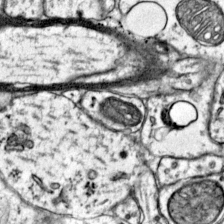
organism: Mouse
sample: Primary visual cortex